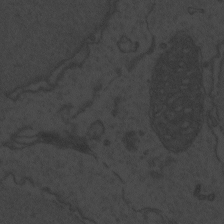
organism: Zebrafish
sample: Macrophage infected with Toxoplasma gondii